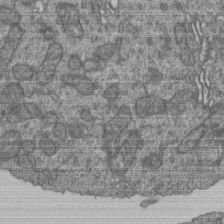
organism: Human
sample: Retinal organoid Rod and Cone cells